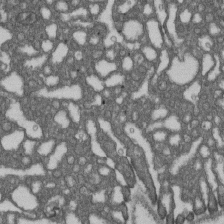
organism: Drosophila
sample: Nephrocyte